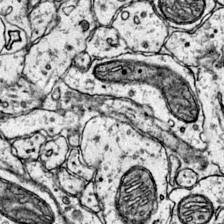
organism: Mouse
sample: Primary visual cortex